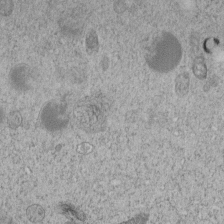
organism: C. elegans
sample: C. elegans embryo early stage